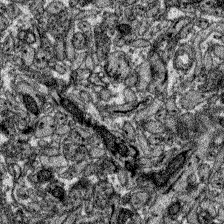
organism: Zebrafish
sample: Larval olfactory bulb